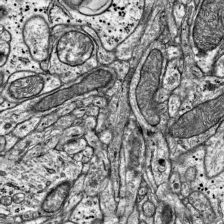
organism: Mouse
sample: Visual Cortex